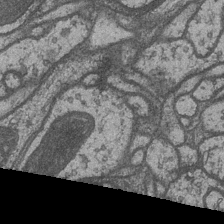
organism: Drosophila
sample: Optic medulla